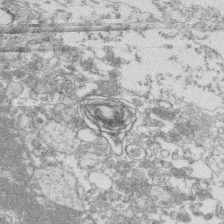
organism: Human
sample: HeLa cell HIV synapse